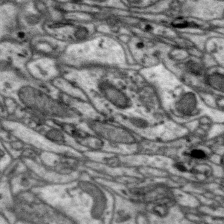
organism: Zebra finch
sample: Brain